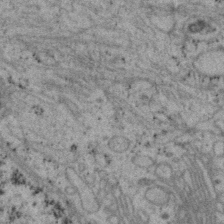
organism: Human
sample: HeLa cells